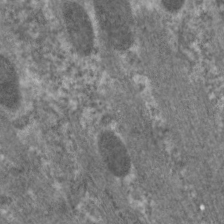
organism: C. elegans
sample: Pharynx